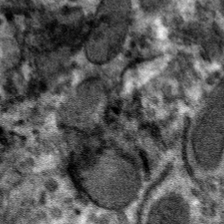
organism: Mouse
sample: Mouse hepatocytes